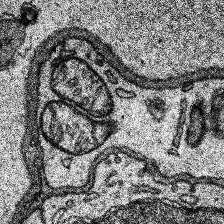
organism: Human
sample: Temporal Lobe